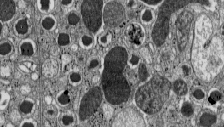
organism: C57BL Mouse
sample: Pancreatic islet